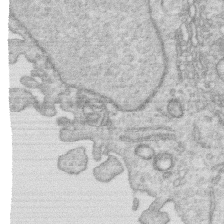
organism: Human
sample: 1205lu cells